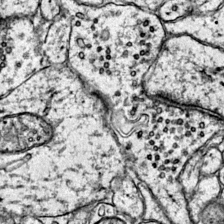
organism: Mouse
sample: Primary visual cortex